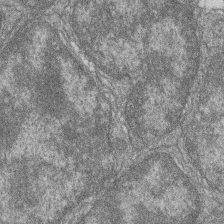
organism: Zebrafish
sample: Cilia; retinal pigment epithelium